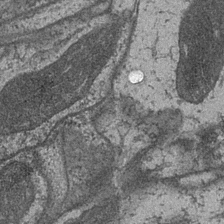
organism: Drosophila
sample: Optic medulla